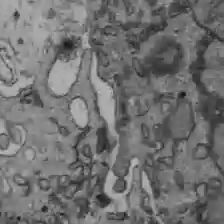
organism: C57BL Mouse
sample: Liver